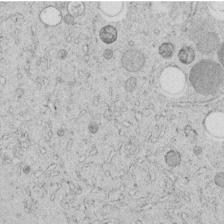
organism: C. elegans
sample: C. elegans embryo early stage